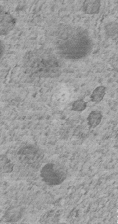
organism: C. elegans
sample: C. elegans embryo early stage